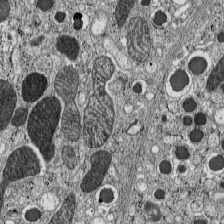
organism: C57BL Mouse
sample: Pancreatic islet